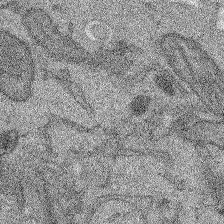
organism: Human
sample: HeLa cells